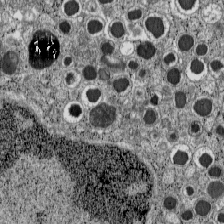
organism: C57BL Mouse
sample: Pancreatic islet